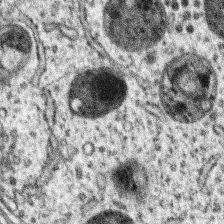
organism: Human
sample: HeLa cells